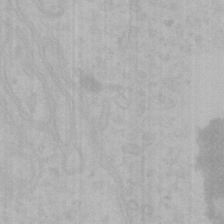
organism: Mouse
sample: Choroid plexus